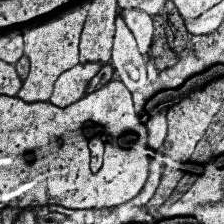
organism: Human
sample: Temporal Lobe